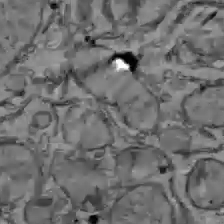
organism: C57BL Mouse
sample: Liver